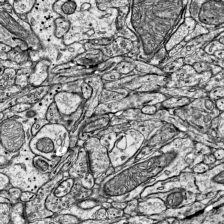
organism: Mouse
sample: Visual Cortex